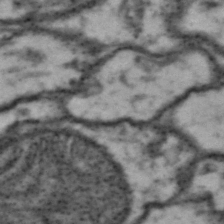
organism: Drosophila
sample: Brain